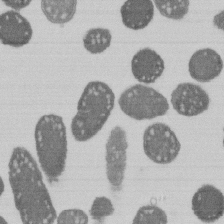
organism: E. coli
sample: Bacterial nucleoid